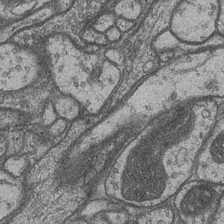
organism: Drosophila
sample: Optic medulla